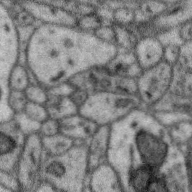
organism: Zebra finch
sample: Brain